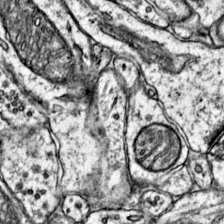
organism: Mouse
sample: Primary visual cortex